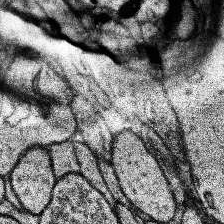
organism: Human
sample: Temporal Lobe